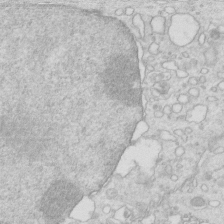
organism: Mouse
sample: Multiciliated cells